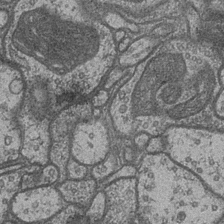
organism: Drosophila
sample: Optic medulla